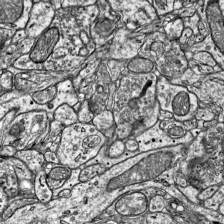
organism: Mouse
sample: Visual Cortex